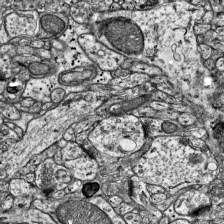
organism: Mouse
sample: Visual Cortex